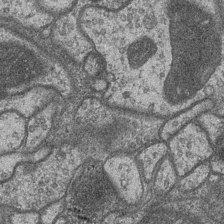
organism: Drosophila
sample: Optic medulla